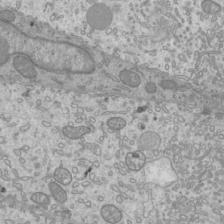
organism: Mouse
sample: Cilia; mouse epididymis